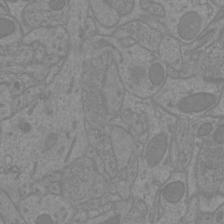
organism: Mouse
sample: Cortical neurons